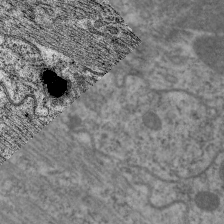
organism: C. elegans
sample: Pharynx